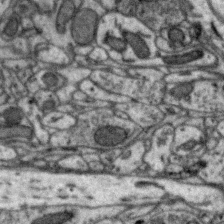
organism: Zebra finch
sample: Brain